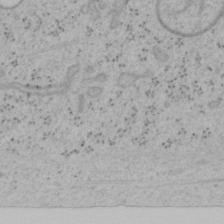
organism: Human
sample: HeLa cells